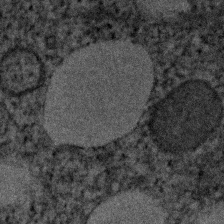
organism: Human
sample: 1205lu cells